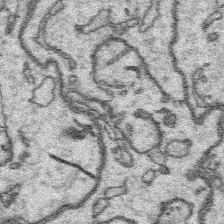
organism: Platynereis dumerilii